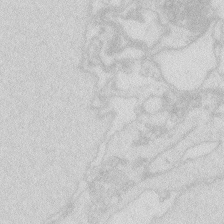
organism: Zebrafish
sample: Macrophage